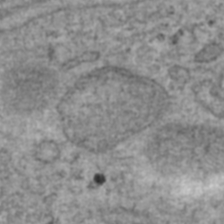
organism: Human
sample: Blood